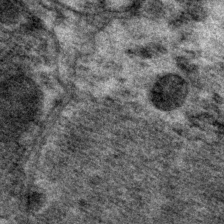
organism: P. pacificus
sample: Pharynx